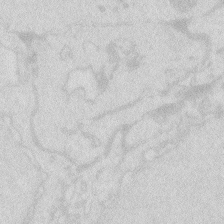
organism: Zebrafish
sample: Macrophage